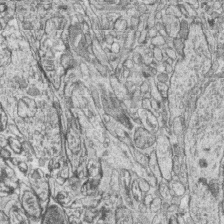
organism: Zebrafish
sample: synaptic ribbons in rod cells and cone cells